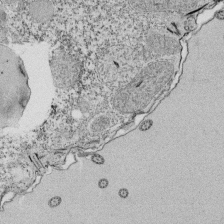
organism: Tetrahymena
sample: Cilia in tetrahymena